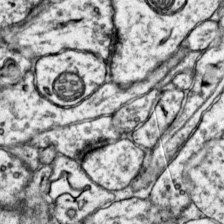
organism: Mouse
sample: Primary visual cortex